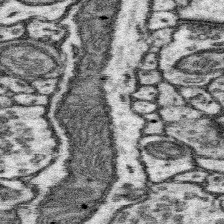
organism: Mouse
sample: Somatosensory cortex neuropil